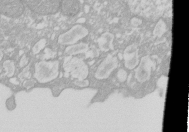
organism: Xenopus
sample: Cilia; centrioles in frog embryo cells